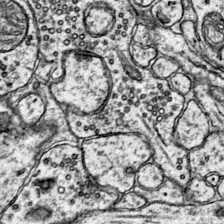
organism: Mouse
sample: Primary visual cortex